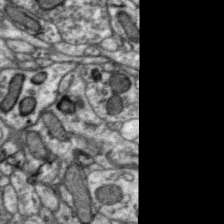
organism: Zebra finch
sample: Brain